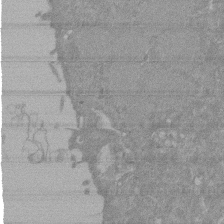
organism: Mouse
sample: ED-1 cell nuclei; centrioles